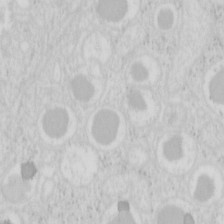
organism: Mouse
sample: Pancreas